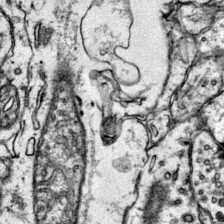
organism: Mouse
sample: Primary visual cortex